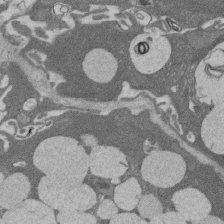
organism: Rat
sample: Salivary granule